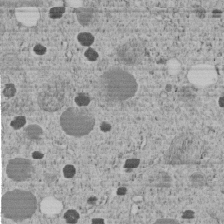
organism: C. elegans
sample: C. elegans embryo early stage